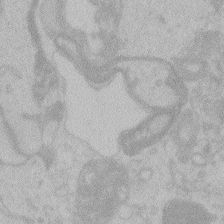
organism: Zebrafish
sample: Macrophage infected with Toxoplasma gondii